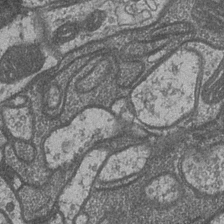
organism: Drosophila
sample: Optic medulla